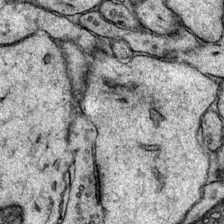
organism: Mouse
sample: Primary visual cortex